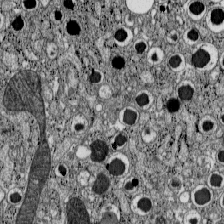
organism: C57BL Mouse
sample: Pancreatic islet